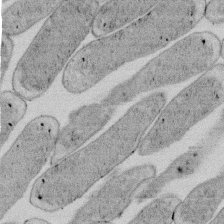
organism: E. coli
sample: Bacterial nucleoid